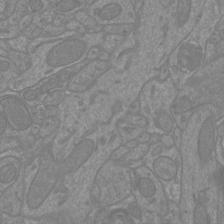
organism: Mouse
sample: Cortical neurons